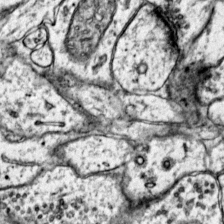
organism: Mouse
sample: Primary visual cortex